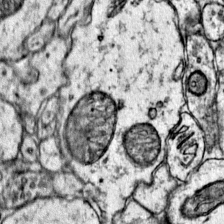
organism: Mouse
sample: Primary visual cortex